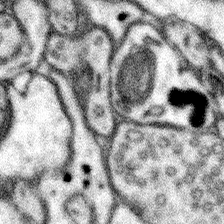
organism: Mouse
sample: Somatosensory cortex neuropil